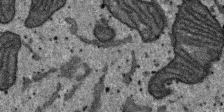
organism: Human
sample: Lung epithelial cells, uninfected (mock) control